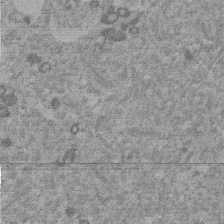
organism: Mouse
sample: Dividing mouse embryo 1 cell stage